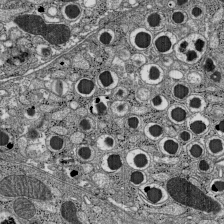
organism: C57BL Mouse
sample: Pancreatic islet